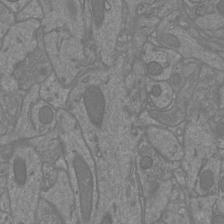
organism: Mouse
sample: Cortical neurons